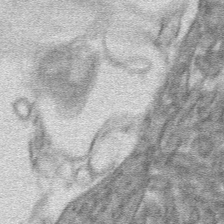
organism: Mouse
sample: Mouse hepatocytes